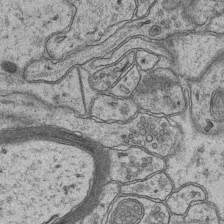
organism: Mouse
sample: CA1 Hippocampus